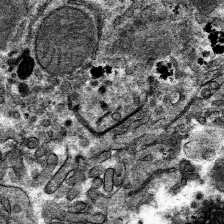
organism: Mouse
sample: Mouse hepatocytes